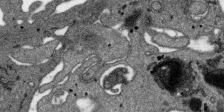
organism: Human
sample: Lung epithelial cells, uninfected (mock) control